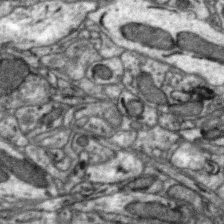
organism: Zebra finch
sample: Brain